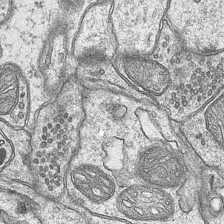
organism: Mouse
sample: CA1 Hippocampus